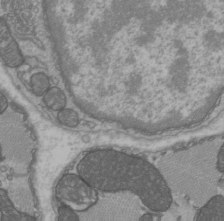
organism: C57BL Mouse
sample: Heart